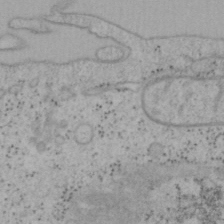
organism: Human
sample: HeLa cells